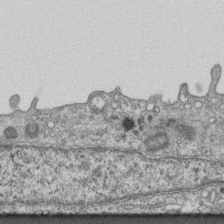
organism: Mouse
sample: Centriole in ependymal cells